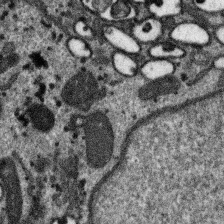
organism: Human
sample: Lung epithelial cells infected with SARS-CoV-2